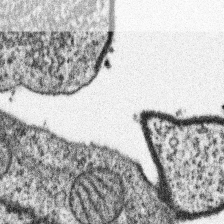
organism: Human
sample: HeLa cells